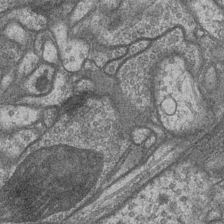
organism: Drosophila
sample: Optic medulla